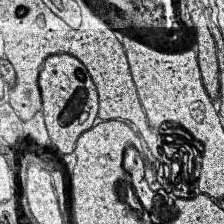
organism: Human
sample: Temporal Lobe